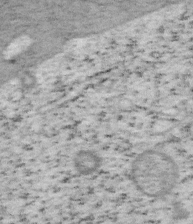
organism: Mouse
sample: OT-I killer T cells with ID8 ovarian cancer cells